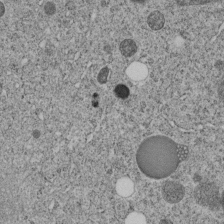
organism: C. elegans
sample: C. elegans embryo early stage